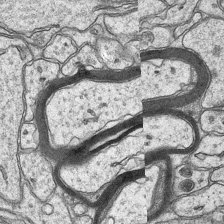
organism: Mouse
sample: CA1 Hippocampus